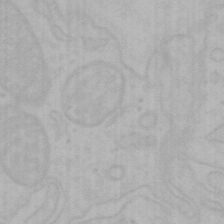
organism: Mouse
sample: Choroid plexus